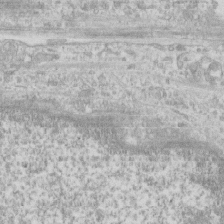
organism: Human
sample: CRL-1474